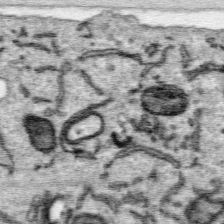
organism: Human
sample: HeLa cells